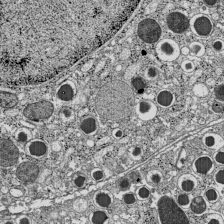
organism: C57BL Mouse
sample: Pancreatic islet